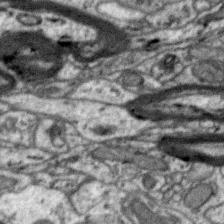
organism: Zebra finch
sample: Brain